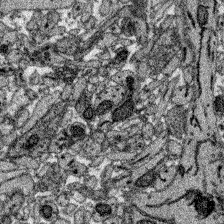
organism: Zebrafish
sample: Larval olfactory bulb